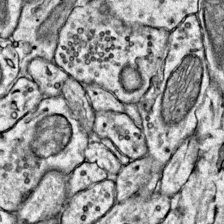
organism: Mouse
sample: Primary visual cortex